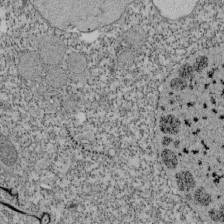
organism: Tetrahymena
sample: Cilia in tetrahymena